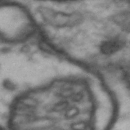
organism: Drosophila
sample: Brain